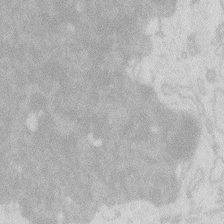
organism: Zebrafish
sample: Macrophage